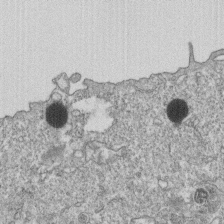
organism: Human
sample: HeLa cell HIV synapse